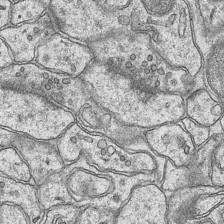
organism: Mouse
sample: CA1 Hippocampus